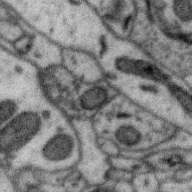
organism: Zebra finch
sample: Brain